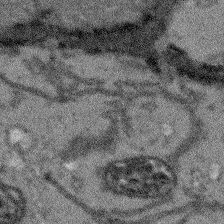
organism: Arabidopsis thaliana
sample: Root tip